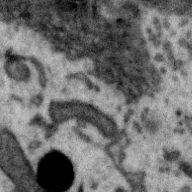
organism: Zebra finch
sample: Brain